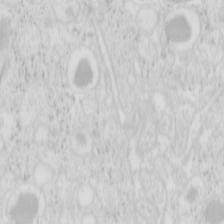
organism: Mouse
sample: Pancreas